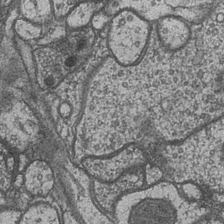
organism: Drosophila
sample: Optic medulla